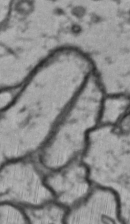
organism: Drosophila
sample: Brain